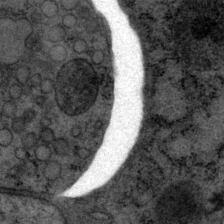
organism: P. pacificus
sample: Pharynx